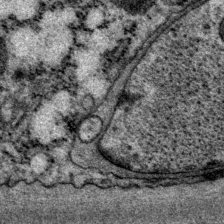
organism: P. pacificus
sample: Pharynx